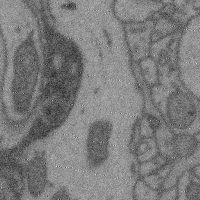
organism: Mouse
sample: Cerebral cortex